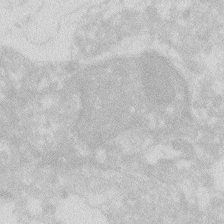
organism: Zebrafish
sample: Macrophage